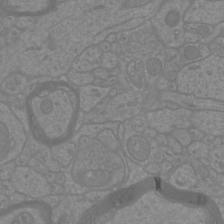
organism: Mouse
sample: Cortical neurons